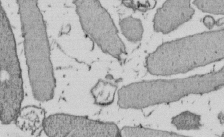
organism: E. coli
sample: Bacterial nucleoid